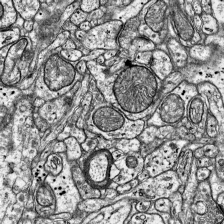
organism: Mouse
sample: Visual Cortex